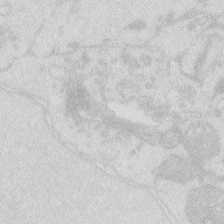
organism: Zebrafish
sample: Macrophage